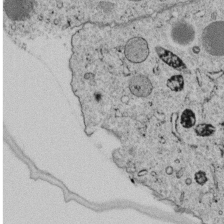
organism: C. elegans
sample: C. elegans embryo early stage